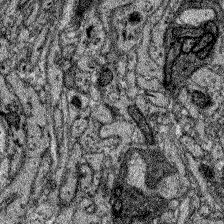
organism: Zebrafish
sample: Larval olfactory bulb